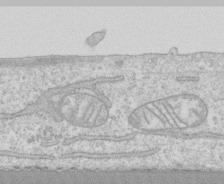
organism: Human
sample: CRL-1474